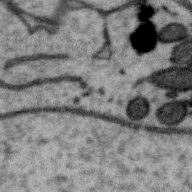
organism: Zebra finch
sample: Brain